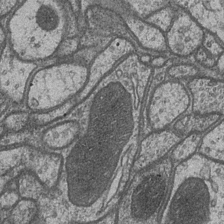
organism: Drosophila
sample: Optic medulla